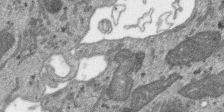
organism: Human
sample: Lung epithelial cells infected with SARS-CoV-2